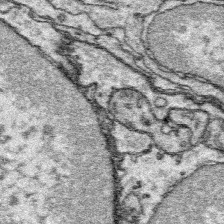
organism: Platynereis dumerilii